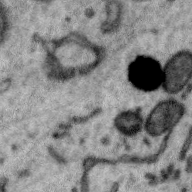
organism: Zebra finch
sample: Brain